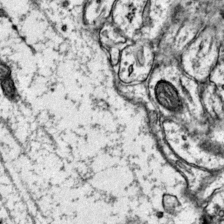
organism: Mouse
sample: Primary visual cortex